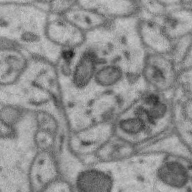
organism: Zebra finch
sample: Brain